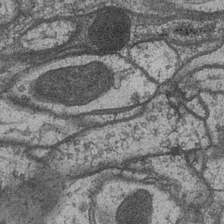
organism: Drosophila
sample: Optic medulla